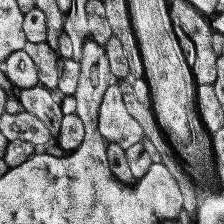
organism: Human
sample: Temporal Lobe